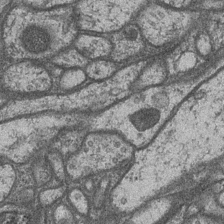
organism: Drosophila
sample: Optic medulla